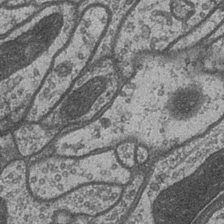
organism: Drosophila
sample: Optic medulla